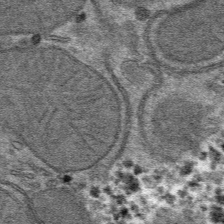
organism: Mouse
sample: Mouse hepatocytes